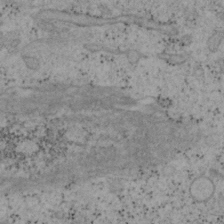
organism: Human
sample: HeLa cells